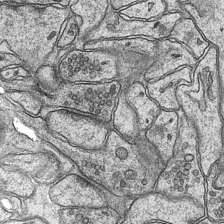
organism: Mouse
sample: CA1 Hippocampus